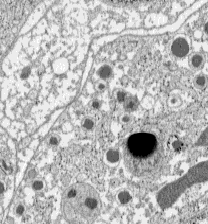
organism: C57BL Mouse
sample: Pancreatic islet